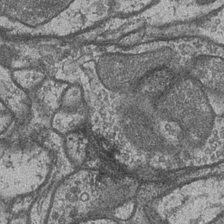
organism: Drosophila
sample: Optic medulla